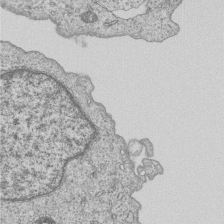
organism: Human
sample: MDA-MB-231 cells